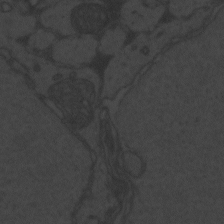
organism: Zebrafish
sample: Macrophage infected with Toxoplasma gondii